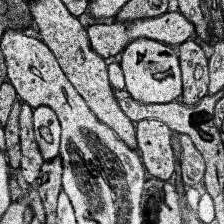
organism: Human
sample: Temporal Lobe